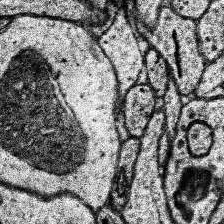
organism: Human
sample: Temporal Lobe